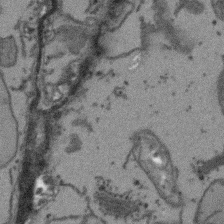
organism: Arabidopsis thaliana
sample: Root tip